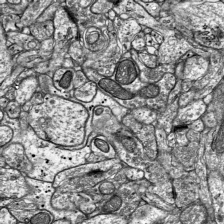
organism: Mouse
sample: Visual Cortex